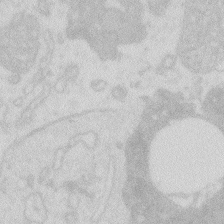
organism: Zebrafish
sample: Macrophage